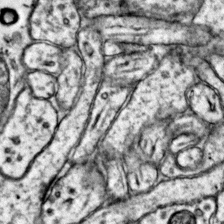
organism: Mouse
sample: Primary visual cortex